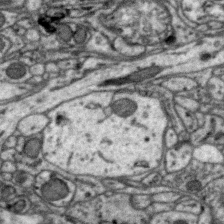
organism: Zebra finch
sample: Brain